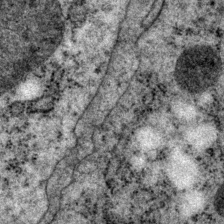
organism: P. pacificus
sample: Pharynx